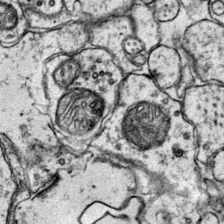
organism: Mouse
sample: Primary visual cortex